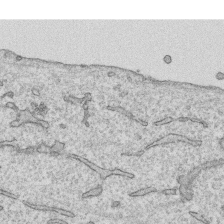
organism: Human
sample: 1205lu cells